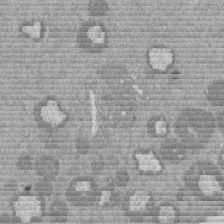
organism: Mouse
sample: Dividing mouse embryo 1 cell stage